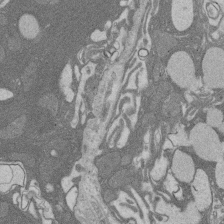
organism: Rat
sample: Salivary granule